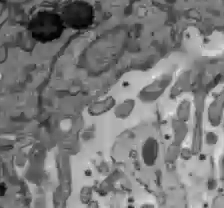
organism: C57BL Mouse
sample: Liver